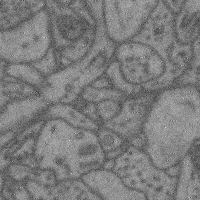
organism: Mouse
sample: Cerebral cortex